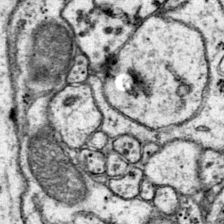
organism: Mouse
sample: Primary visual cortex